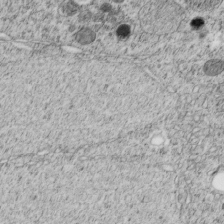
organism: C. elegans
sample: C. elegans embryo early stage